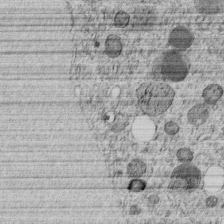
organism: C. elegans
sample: C. elegans embryo early stage